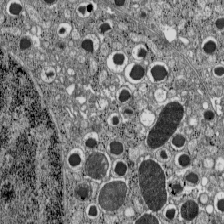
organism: C57BL Mouse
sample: Pancreatic islet